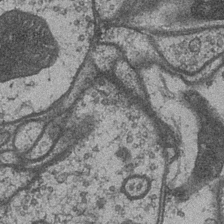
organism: Drosophila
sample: Optic medulla